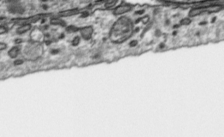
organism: Toxoplasma gondii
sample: Parasites in a vacuole inside a host cell